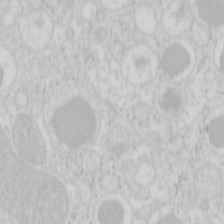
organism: Mouse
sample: Pancreas